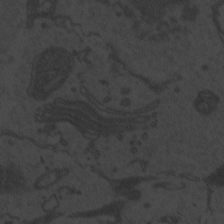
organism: Zebrafish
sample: Macrophage infected with Toxoplasma gondii